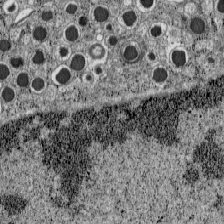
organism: C57BL Mouse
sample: Pancreatic islet